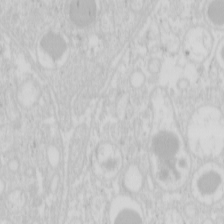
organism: Mouse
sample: Pancreas